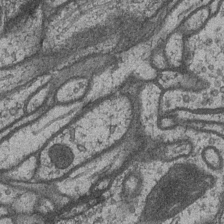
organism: Drosophila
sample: Optic medulla